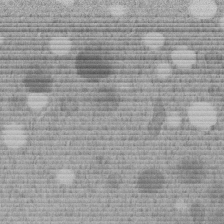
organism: C. elegans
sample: C. elegans embryo early stage